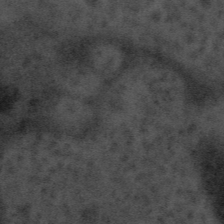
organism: Tuwongella immobilis